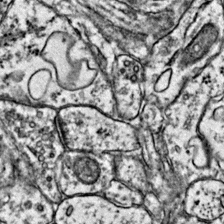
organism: Mouse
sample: Primary visual cortex